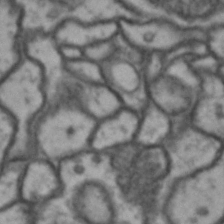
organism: Drosophila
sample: Brain